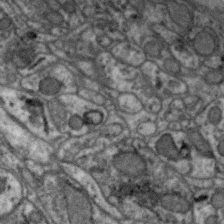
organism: Zebra finch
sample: Brain